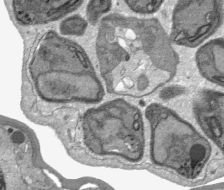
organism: Plasmodium falciparum